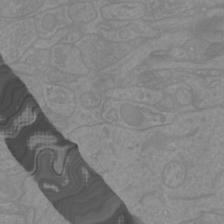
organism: Mouse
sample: Cortical neurons